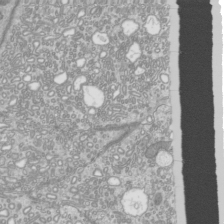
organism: Mouse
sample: Cilia; mouse epididymis